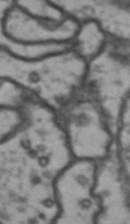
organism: Drosophila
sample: Brain